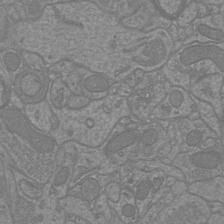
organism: Mouse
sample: Cortical neurons